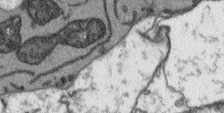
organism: Arabidopsis thaliana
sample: Root tip